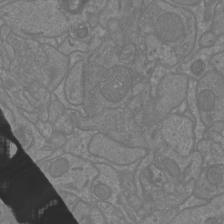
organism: Mouse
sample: Cortical neurons